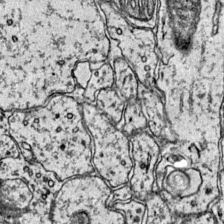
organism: Mouse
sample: Primary visual cortex